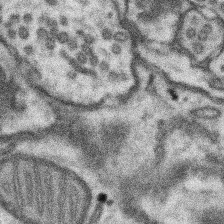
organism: Mouse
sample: Somatosensory cortex neuropil